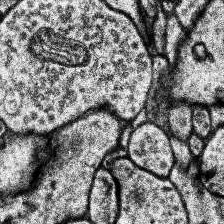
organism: Human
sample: Temporal Lobe